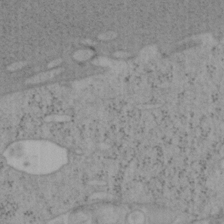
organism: Mouse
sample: OT-I killer T cells with ID8 ovarian cancer cells